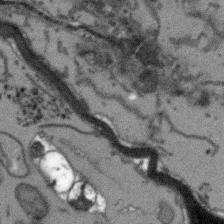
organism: Arabidopsis thaliana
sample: Root tip